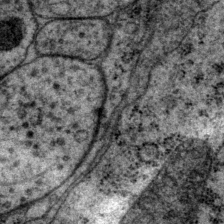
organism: P. pacificus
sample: Pharynx